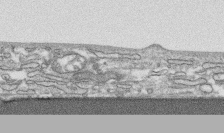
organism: Human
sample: CRL-1474